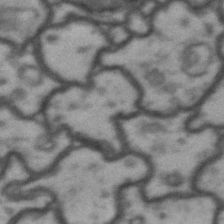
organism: Drosophila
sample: Brain